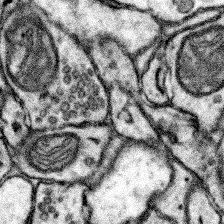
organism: Mouse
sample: Somatosensory cortex neuropil